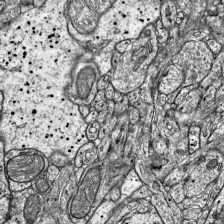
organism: Mouse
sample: Visual Cortex